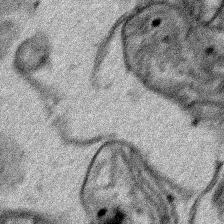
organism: Human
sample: Mitochondria in HCT116 cells